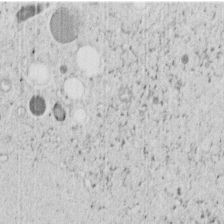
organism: C. elegans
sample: C. elegans embryo early stage